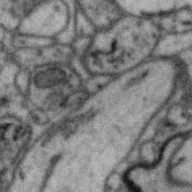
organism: Zebra finch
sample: Brain